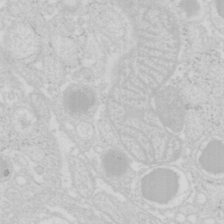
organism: Mouse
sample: Pancreas